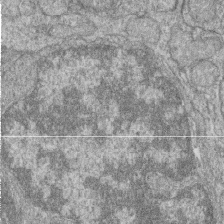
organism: Zebrafish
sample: Cilia; retinal pigment epithelium